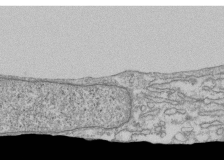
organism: Human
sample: Fibroblast cells